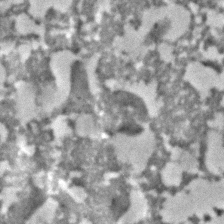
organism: C. elegans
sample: C. elegans embryo